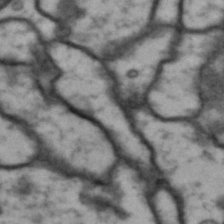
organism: Drosophila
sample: Brain